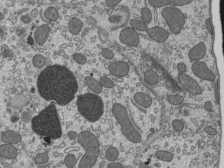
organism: Mouse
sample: Mouse epididymis efferent ductule cilia